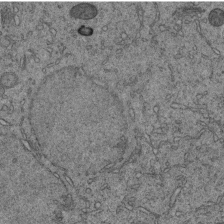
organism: C. elegans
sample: C. elegans embryo early stage